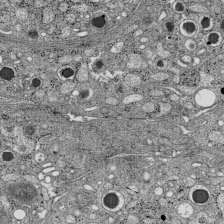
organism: C57BL Mouse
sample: Pancreatic islet